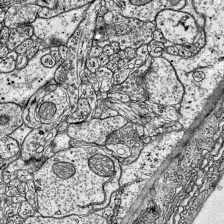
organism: Mouse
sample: Visual Cortex